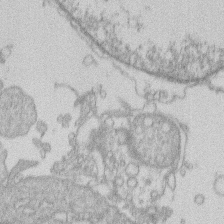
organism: Human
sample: Macrophage cells